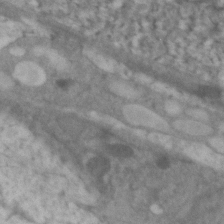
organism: Zebrafish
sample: Zebrafish embryo